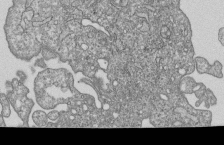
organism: Human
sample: MDA-MB-231 cells